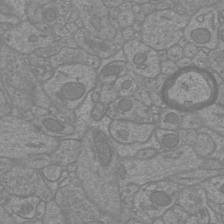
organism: Mouse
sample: Cortical neurons